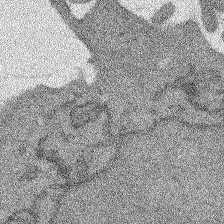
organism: Human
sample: HeLa cells